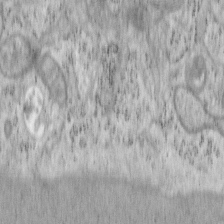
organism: Human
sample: HeLa cells